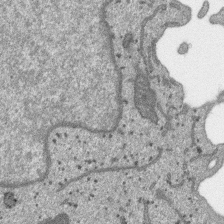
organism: Human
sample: Lung epithelial cells infected with SARS-CoV-2